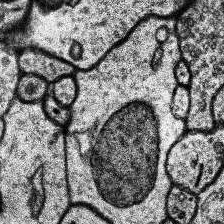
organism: Human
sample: Temporal Lobe